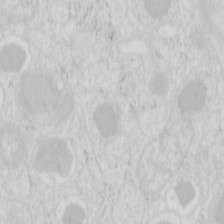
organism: Mouse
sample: Pancreas